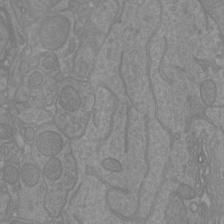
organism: Mouse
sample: Cortical neurons